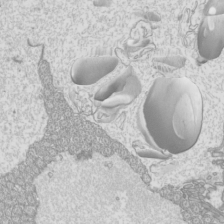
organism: Mouse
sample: Cilia; mouse epididymis